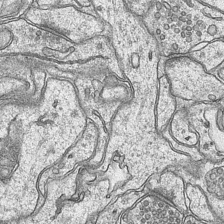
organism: Mouse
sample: CA1 Hippocampus